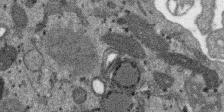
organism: Human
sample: Lung epithelial cells infected with SARS-CoV-2